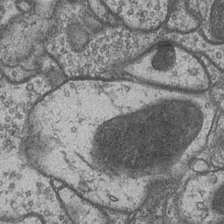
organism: Drosophila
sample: Optic medulla